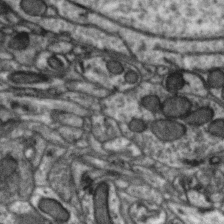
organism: Zebra finch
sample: Brain